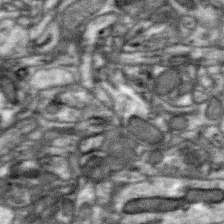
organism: Zebra finch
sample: Brain